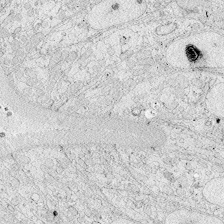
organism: Zebrafish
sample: Whole-Brain